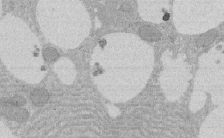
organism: Rat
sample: Salivary granule